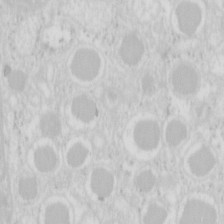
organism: Mouse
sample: Pancreas